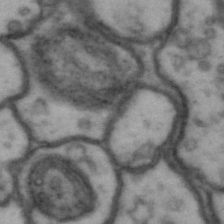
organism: Drosophila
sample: Brain